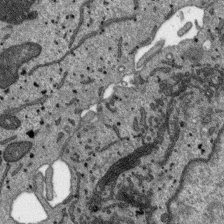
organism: Human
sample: Lung epithelial cells, uninfected (mock) control